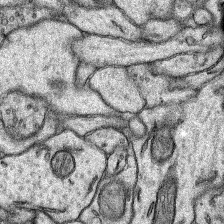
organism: Rat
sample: Hippocampus